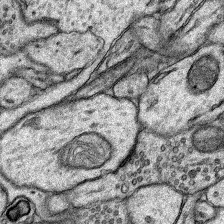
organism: Rat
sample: Hippocampus